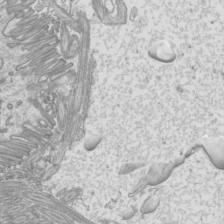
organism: Mouse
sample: Cilia; mouse epididymis